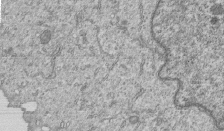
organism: Human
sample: MDA-MB-231 cells